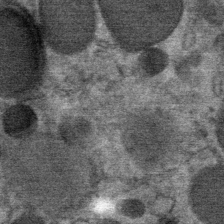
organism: Mouse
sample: Mouse Salivary gland